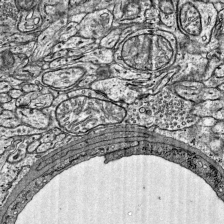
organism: Mouse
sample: Visual Cortex